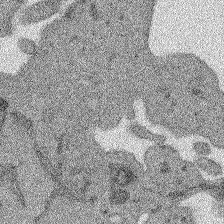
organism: Human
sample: HeLa cells